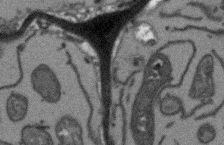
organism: Arabidopsis thaliana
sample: Root tip